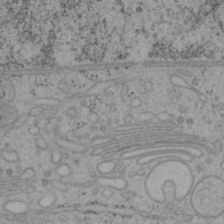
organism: Human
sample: HeLa cells